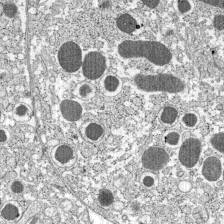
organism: C57BL Mouse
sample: Pancreatic islet